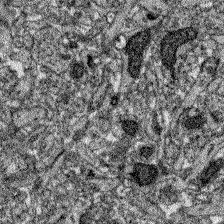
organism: Zebrafish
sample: Larval olfactory bulb